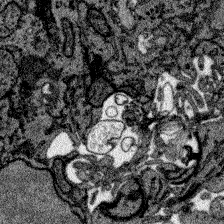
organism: Zebrafish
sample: Larval olfactory bulb